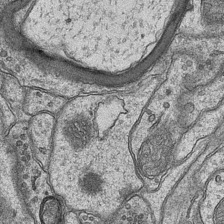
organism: Mouse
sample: CA1 Hippocampus